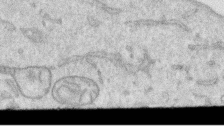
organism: Human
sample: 1205lu cells